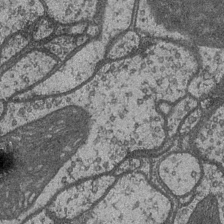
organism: Drosophila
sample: Optic medulla